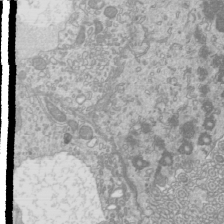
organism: Mouse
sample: Cilia; mouse epididymis